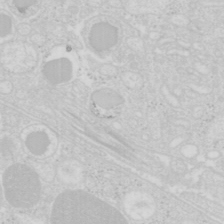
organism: Mouse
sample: Pancreas